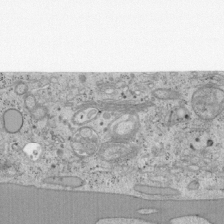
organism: Human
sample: HeLa cells